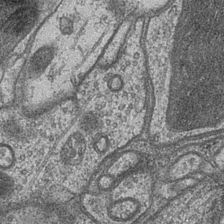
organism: Drosophila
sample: Optic medulla